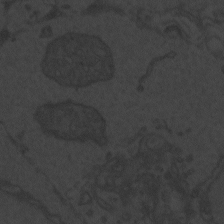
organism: Zebrafish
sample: Macrophage infected with Toxoplasma gondii